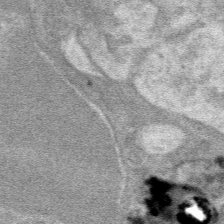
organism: Mouse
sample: Mouse hepatocytes